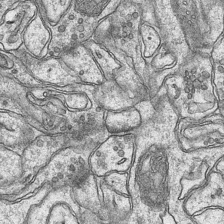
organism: Mouse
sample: CA1 Hippocampus